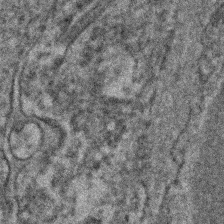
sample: Kidney